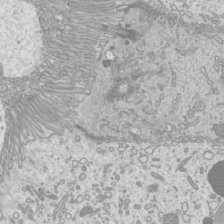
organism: Mouse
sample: Cilia; mouse epididymis